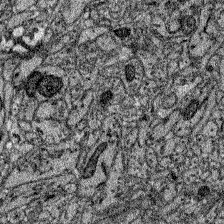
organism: Zebrafish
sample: Larval olfactory bulb